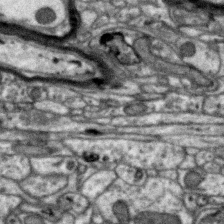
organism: Zebra finch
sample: Brain